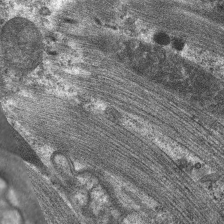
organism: C. elegans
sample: Pharynx